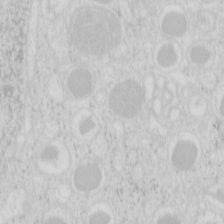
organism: Mouse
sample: Pancreas